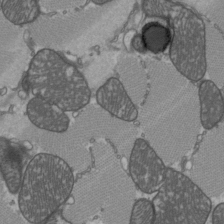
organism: C57BL Mouse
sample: Heart